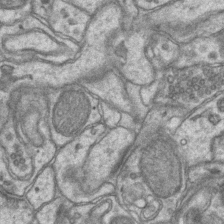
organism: Mouse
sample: CA1 Hippocampus